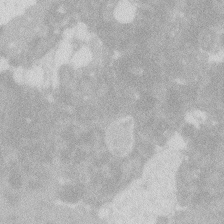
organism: Zebrafish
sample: Macrophage